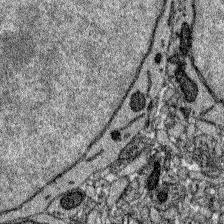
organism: Zebrafish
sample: Larval olfactory bulb